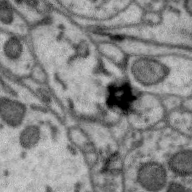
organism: Zebra finch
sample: Brain